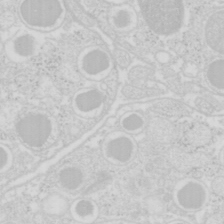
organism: Mouse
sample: Pancreas